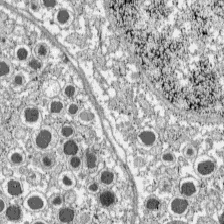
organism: C57BL Mouse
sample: Pancreatic islet